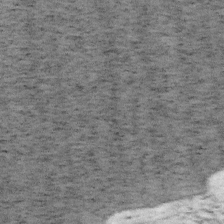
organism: Mouse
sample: OT-I killer T cells with ID8 ovarian cancer cells